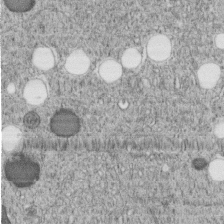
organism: C. elegans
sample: C. elegans embryo early stage